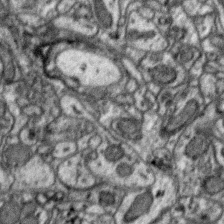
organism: Zebra finch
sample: Brain